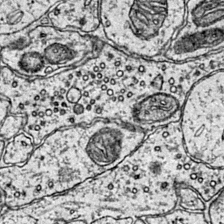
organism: Mouse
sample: Primary visual cortex